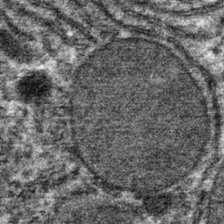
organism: Mouse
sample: Mouse hepatocytes